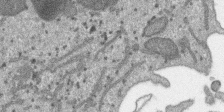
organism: Human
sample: Lung epithelial cells infected with SARS-CoV-2